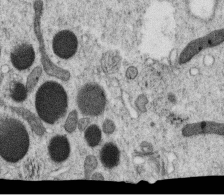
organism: C. elegans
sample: C. elegans oocyte; sperm cells